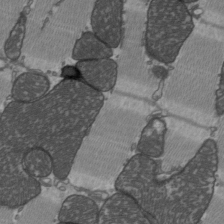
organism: C57BL Mouse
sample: Heart